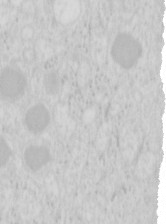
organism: Mouse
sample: Pancreas